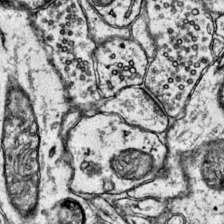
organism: Mouse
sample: Primary visual cortex